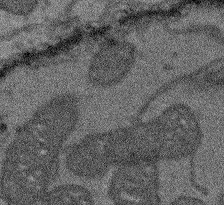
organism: Arabidopsis thaliana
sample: Root tip